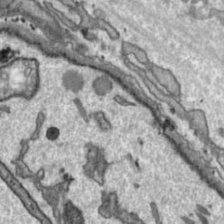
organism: Toxoplasma gondii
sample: Parasites in a vacuole inside a host cell